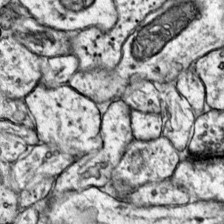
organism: Mouse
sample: Primary visual cortex